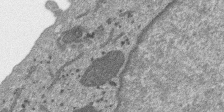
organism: Human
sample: Lung epithelial cells infected with SARS-CoV-2